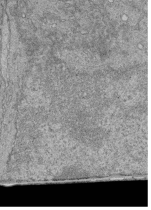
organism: Human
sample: Retinal organoid Rod and Cone cells